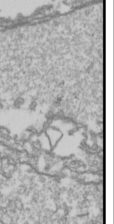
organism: Drosophila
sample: Cell division; meiosis; drosophila spermatocytes